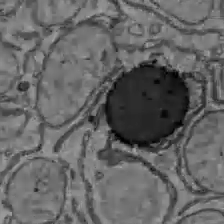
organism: C57BL Mouse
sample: Liver